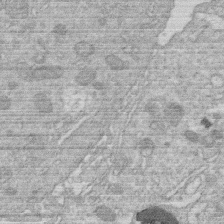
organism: Human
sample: Macrophage cells